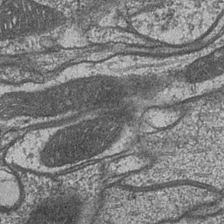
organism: Drosophila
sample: Optic medulla